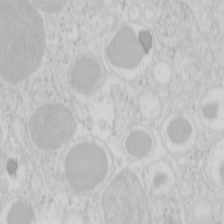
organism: Mouse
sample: Pancreas